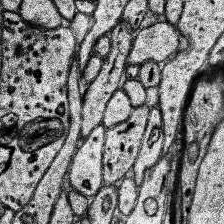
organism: Human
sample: Temporal Lobe